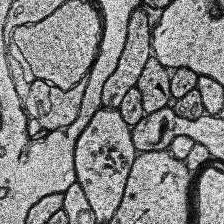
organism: Human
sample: Temporal Lobe